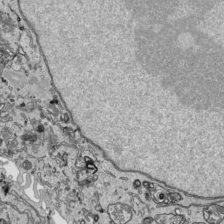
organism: Human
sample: Mitochondria in HCT116 cells